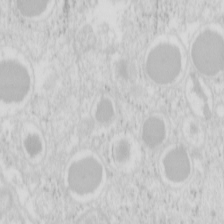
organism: Mouse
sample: Pancreas